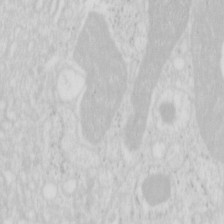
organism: Mouse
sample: Pancreas